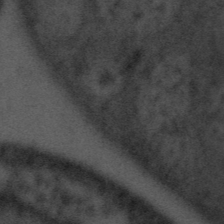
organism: Tuwongella immobilis